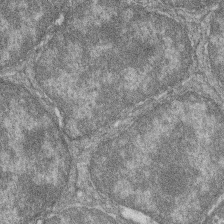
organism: Zebrafish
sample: Cilia; retinal pigment epithelium